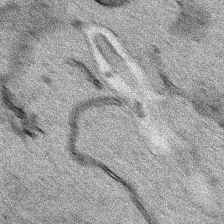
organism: Human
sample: Mitochondria in HCT116 cells